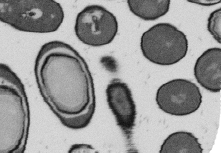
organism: B. subtilis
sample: Bacterial spore